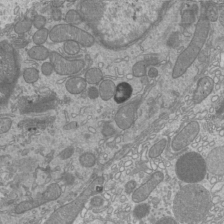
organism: Mouse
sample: Cilia; mouse epididymis